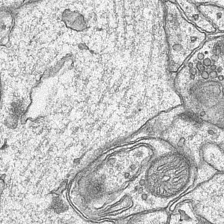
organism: Mouse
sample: CA1 Hippocampus